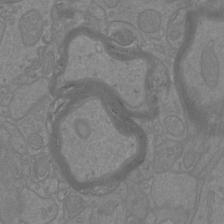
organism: Mouse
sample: Cortical neurons